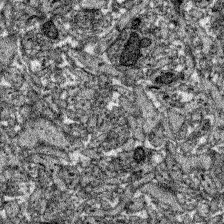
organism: Zebrafish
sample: Larval olfactory bulb